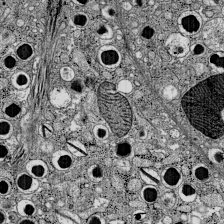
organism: C57BL Mouse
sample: Pancreatic islet